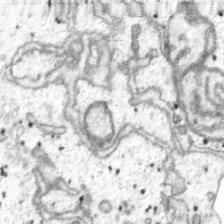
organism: Human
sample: HeLa cells